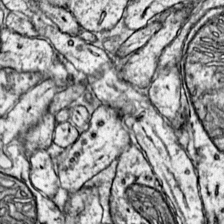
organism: Mouse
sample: Primary visual cortex